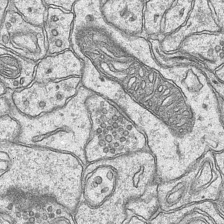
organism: Mouse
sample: CA1 Hippocampus